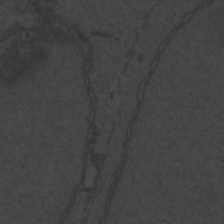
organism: Zebrafish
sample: Macrophage infected with Toxoplasma gondii